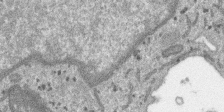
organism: Human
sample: Lung epithelial cells infected with SARS-CoV-2